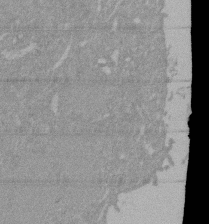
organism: Mouse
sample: ED-1 cell nuclei; centrioles